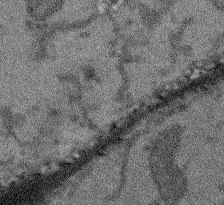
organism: Arabidopsis thaliana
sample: Root tip